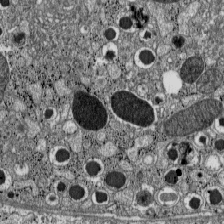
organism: C57BL Mouse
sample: Pancreatic islet